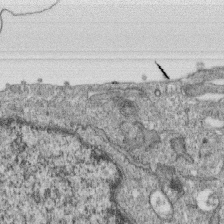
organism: African green monkey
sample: Vero E6 cells infected with SARS-CoV-2